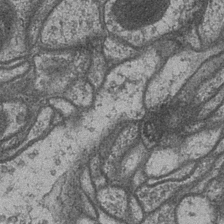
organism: Drosophila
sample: Optic medulla